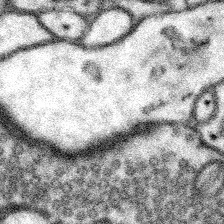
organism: Mouse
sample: Somatosensory cortex neuropil